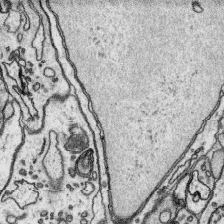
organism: Platynereis dumerilii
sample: Parapodia